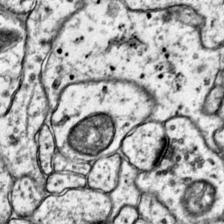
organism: Mouse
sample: Primary visual cortex